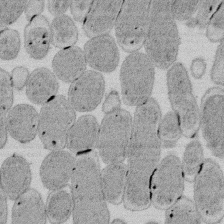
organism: E. coli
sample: Bacterial nucleoid